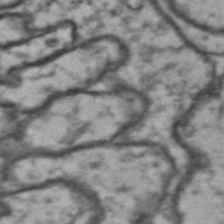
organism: Drosophila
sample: Brain